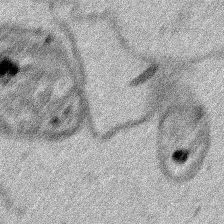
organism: Human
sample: Mitochondria in HCT116 cells